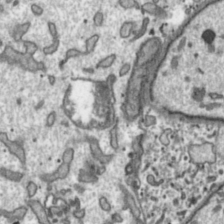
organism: Toxoplasma gondii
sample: Parasites in a vacuole inside a host cell